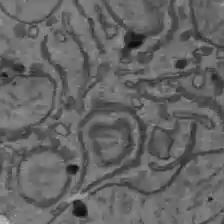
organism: C57BL Mouse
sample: Liver